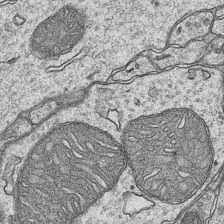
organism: Mouse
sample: CA1 Hippocampus